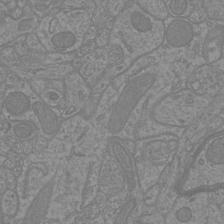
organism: Mouse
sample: Cortical neurons